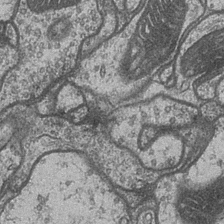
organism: Drosophila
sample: Optic medulla